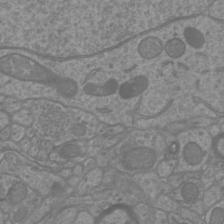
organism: Mouse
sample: Cortical neurons